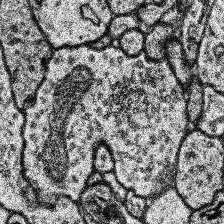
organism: Human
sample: Temporal Lobe